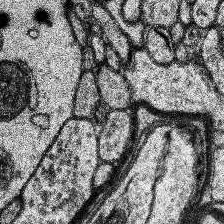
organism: Human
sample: Temporal Lobe